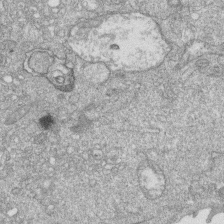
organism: Human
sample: HeLa cell HIV synapse